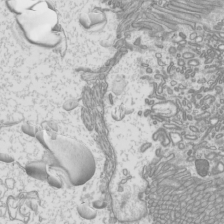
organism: Mouse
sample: Cilia; mouse epididymis